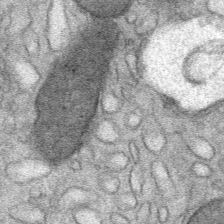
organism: Mouse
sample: Mouse Salivary gland